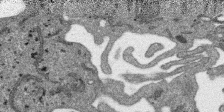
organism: Human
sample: Lung epithelial cells infected with SARS-CoV-2